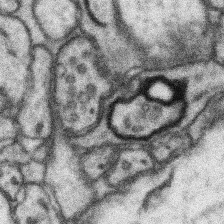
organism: Mouse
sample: Somatosensory cortex neuropil